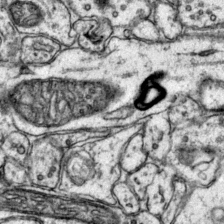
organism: Mouse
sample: Primary visual cortex